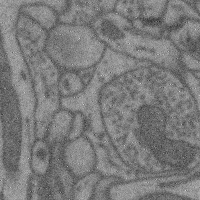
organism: Mouse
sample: Cerebral cortex